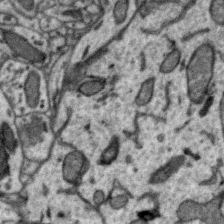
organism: Zebra finch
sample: Brain